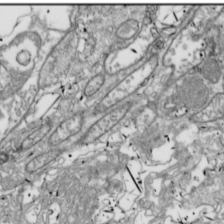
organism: Drosophila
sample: Cell division; meiosis; drosophila spermatocytes